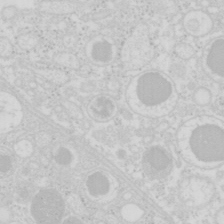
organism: Mouse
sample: Pancreas